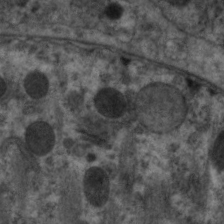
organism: C. elegans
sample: Pharynx